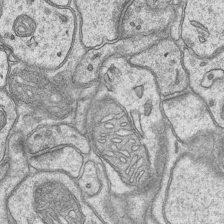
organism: Mouse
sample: CA1 Hippocampus